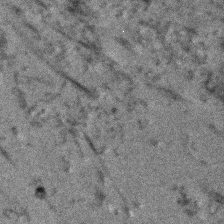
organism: Human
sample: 1205lu cells